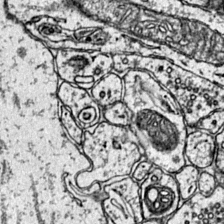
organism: Mouse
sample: Primary visual cortex